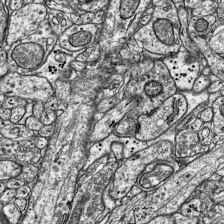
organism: Mouse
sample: Visual Cortex